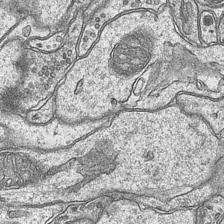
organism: Mouse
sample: CA1 Hippocampus